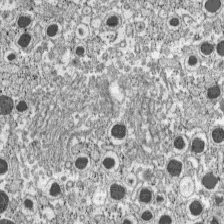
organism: C57BL Mouse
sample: Pancreatic islet